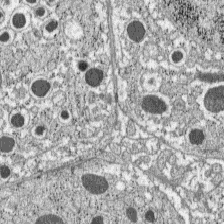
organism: C57BL Mouse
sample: Pancreatic islet